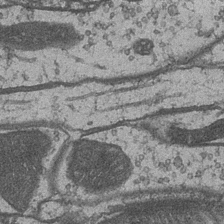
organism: Drosophila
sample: Optic medulla